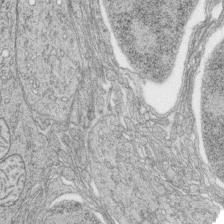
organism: Zebrafish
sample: synaptic ribbons in rod cells and cone cells